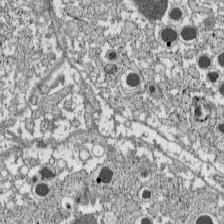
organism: C57BL Mouse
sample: Pancreatic islet